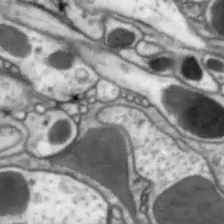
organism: Drosophila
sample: Optic lobe